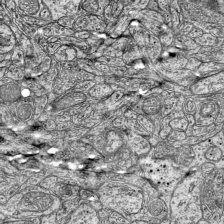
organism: Mouse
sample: Visual Cortex